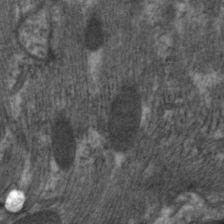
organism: C. elegans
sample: Pharynx